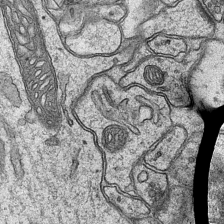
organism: Mouse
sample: CA1 Hippocampus